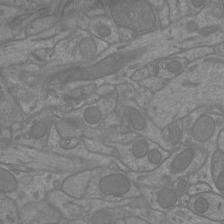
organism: Mouse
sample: Cortical neurons